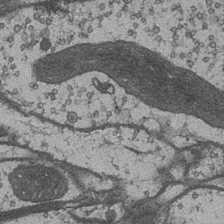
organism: Drosophila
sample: Optic medulla